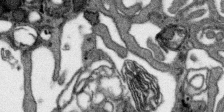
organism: Human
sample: Lung epithelial cells, uninfected (mock) control